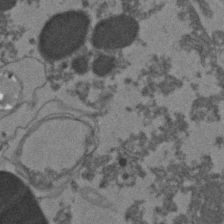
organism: Zebrafish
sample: Zebrafish embryo